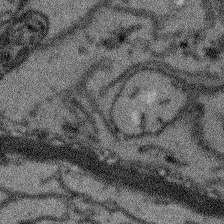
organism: Arabidopsis thaliana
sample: Root tip